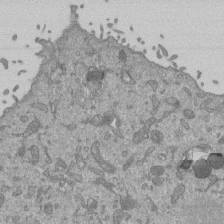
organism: Mouse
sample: ED-1 cell nuclei; centrioles